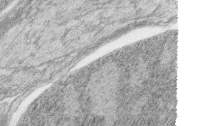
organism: Zebrafish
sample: synaptic ribbons in rod cells and cone cells